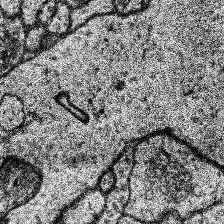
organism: Human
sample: Temporal Lobe